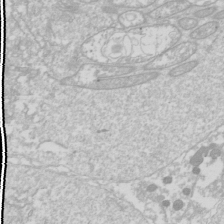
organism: Drosophila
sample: Cell division; meiosis; drosophila spermatocytes